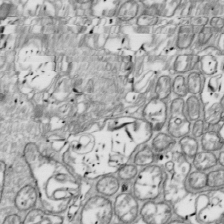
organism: Drosophila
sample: Cell division; meiosis; drosophila spermatocytes